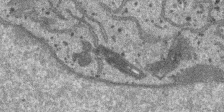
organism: Human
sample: Lung epithelial cells infected with SARS-CoV-2